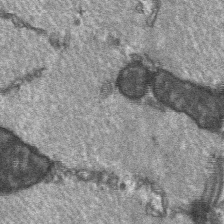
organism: C57BL Mouse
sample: Soleus